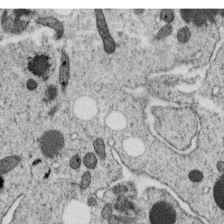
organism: C. elegans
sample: C. elegans oocyte; sperm cells